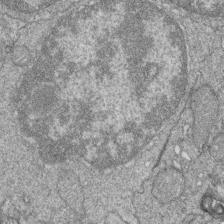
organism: Zebrafish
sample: Cilia; retinal pigment epithelium